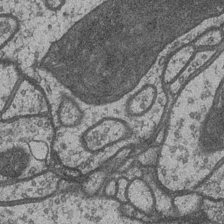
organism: Drosophila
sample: Optic medulla